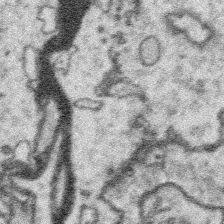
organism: Platynereis dumerilii